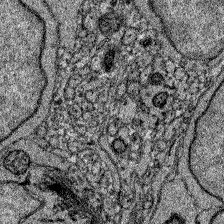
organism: Zebrafish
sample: Larval olfactory bulb